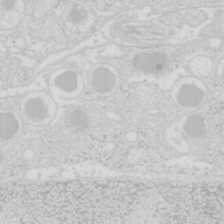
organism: Mouse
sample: Pancreas